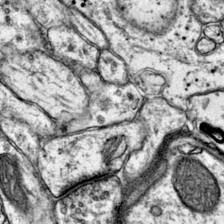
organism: Mouse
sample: Primary visual cortex